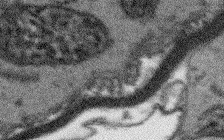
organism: Arabidopsis thaliana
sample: Root tip